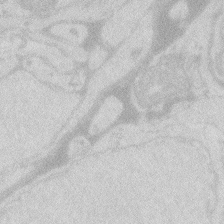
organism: Zebrafish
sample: Macrophage